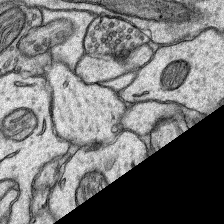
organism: Rat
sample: Hippocampus